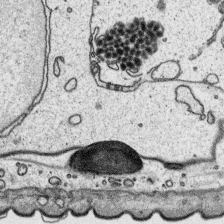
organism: Platynereis dumerilii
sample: Parapodia